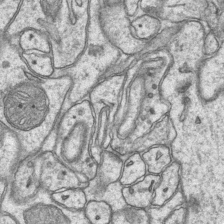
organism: Mouse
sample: CA1 Hippocampus